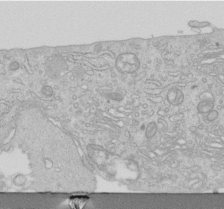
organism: Human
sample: Centriole in RPE cells